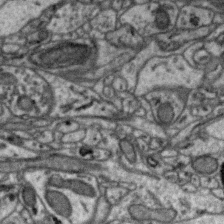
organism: Zebra finch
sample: Brain